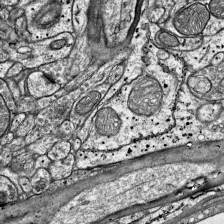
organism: Mouse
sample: Visual Cortex